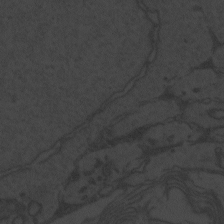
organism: Zebrafish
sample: Macrophage infected with Toxoplasma gondii